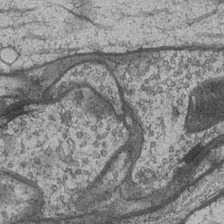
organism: Drosophila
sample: Optic medulla